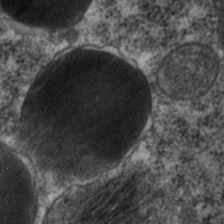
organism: C. elegans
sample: C. elegans embryo